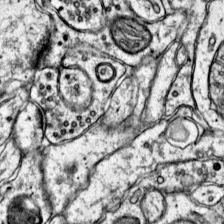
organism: Mouse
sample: Primary visual cortex